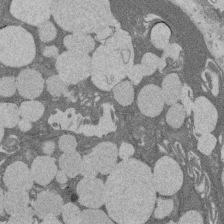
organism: Rat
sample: Salivary granule